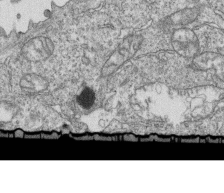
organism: Human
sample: HeLa cell HIV synapse